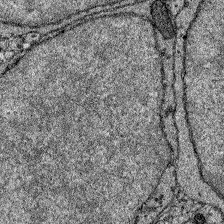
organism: Zebrafish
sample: Larval olfactory bulb